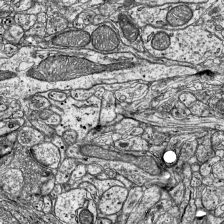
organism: Mouse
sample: Visual Cortex